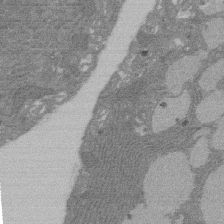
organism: Rat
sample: Salivary granule